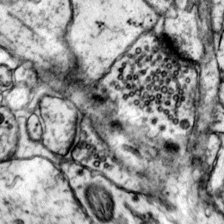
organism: Mouse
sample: Primary visual cortex